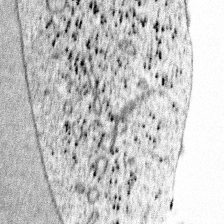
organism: Human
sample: HeLa cells